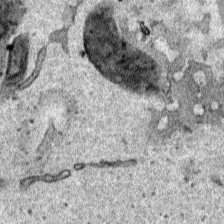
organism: Human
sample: Mitochondria in HCT116 cells